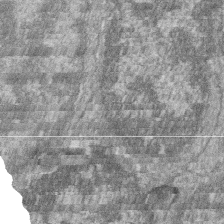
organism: Zebrafish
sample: Cilia; retinal pigment epithelium